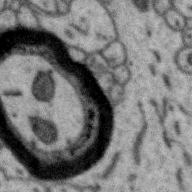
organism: Zebra finch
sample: Brain